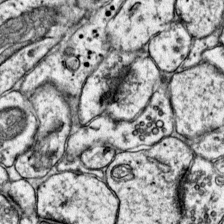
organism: Mouse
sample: Primary visual cortex